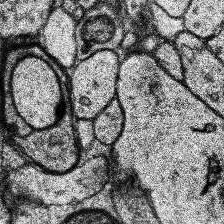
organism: Human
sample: Temporal Lobe